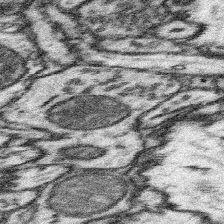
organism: Mouse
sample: Somatosensory cortex neuropil